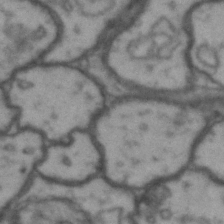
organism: Drosophila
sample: Brain